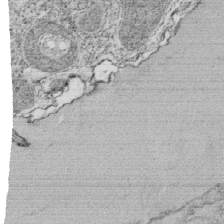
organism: Tetrahymena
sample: Cilia in tetrahymena